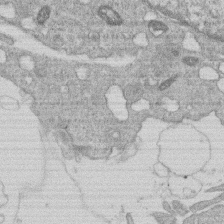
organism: Human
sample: Macrophage cells